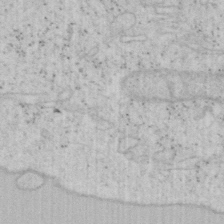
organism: Human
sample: HeLa cells